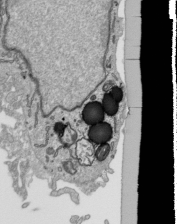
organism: Human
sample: Mitochondria in HCT116 cells